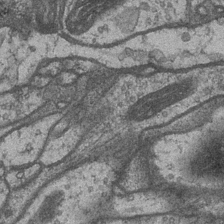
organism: Drosophila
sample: Optic medulla